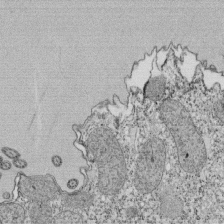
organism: Tetrahymena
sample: Cilia in tetrahymena